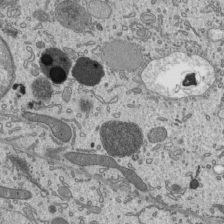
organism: Mouse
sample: Mouse epididymis efferent ductule cilia